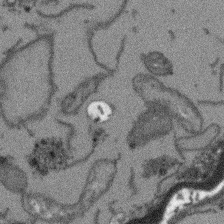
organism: Arabidopsis thaliana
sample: Root tip